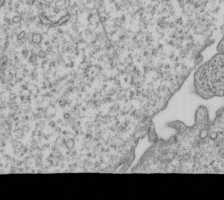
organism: Human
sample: MDA-MB-231 cells